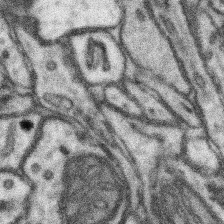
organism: Mouse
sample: Somatosensory cortex neuropil